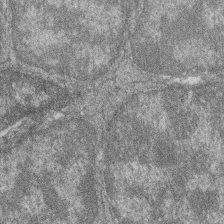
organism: Zebrafish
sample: Cilia; retinal pigment epithelium